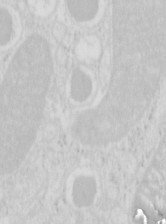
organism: Mouse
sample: Pancreas